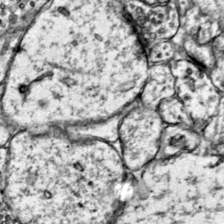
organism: Mouse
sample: Primary visual cortex